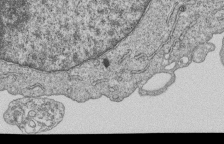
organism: Human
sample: MDA-MB-231 cells